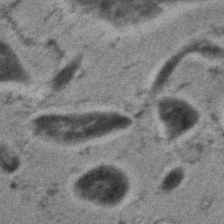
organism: C. elegans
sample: C. elegans embryo